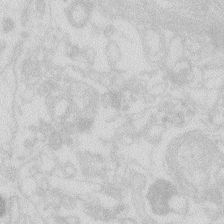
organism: Zebrafish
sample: Macrophage